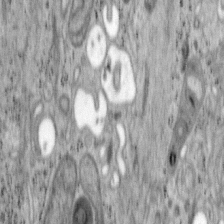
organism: Human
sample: HeLa cells